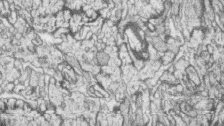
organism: Zebrafish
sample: synaptic ribbons in rod cells and cone cells